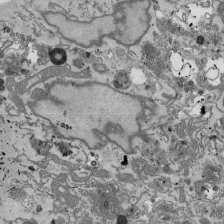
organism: Mouse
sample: ED-1 cell nuclei; centrioles